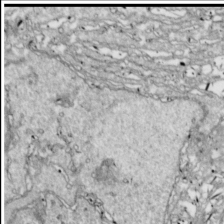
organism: Drosophila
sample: Cell division; meiosis; drosophila spermatocytes